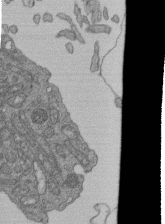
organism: Human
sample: Retinal organoid Rod and Cone cells